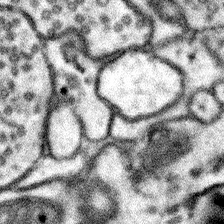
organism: Mouse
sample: Somatosensory cortex neuropil